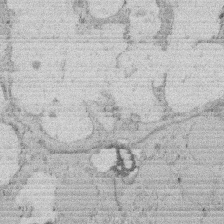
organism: Rat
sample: Salivary granule